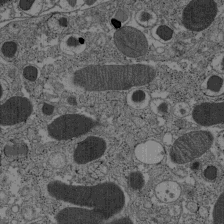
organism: C57BL Mouse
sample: Pancreatic islet